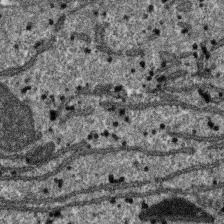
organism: Human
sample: Lung epithelial cells infected with SARS-CoV-2